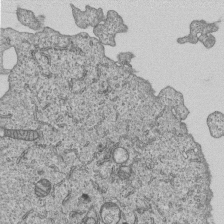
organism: Human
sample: MDA-MB-231 cells